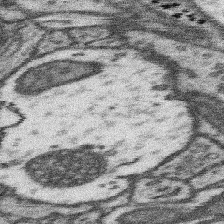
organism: Mouse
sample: Somatosensory cortex neuropil